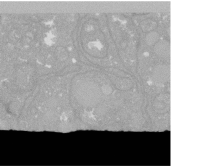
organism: C. elegans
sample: C. elegans oocyte; sperm cells